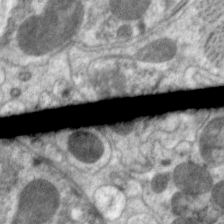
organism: C. elegans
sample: Pharynx